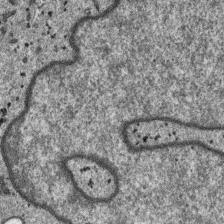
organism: Human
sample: Lung epithelial cells infected with SARS-CoV-2